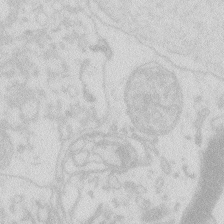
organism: Zebrafish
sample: Macrophage